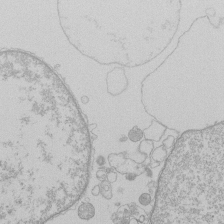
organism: Human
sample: Macrophage cells